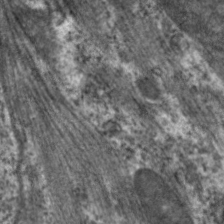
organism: C. elegans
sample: Pharynx